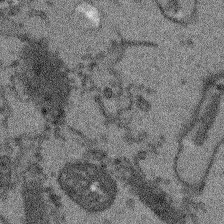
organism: Arabidopsis thaliana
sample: Root tip